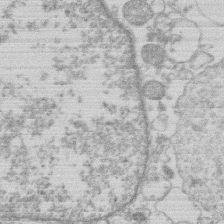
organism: Human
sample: Macrophage cells